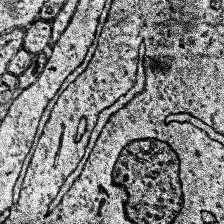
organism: Human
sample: Temporal Lobe